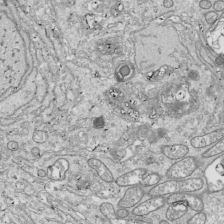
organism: Drosophila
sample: Cell division; meiosis; drosophila spermatocytes